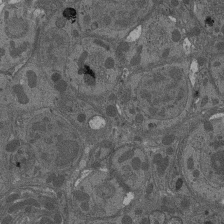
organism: Drosophila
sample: Antenna